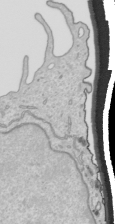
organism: Human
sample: Mitochondria in HCT116 cells